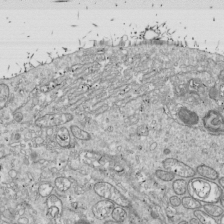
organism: Drosophila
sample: Cell division; meiosis; drosophila spermatocytes